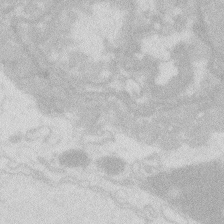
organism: Zebrafish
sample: Macrophage